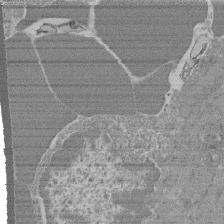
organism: Mouse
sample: Glomerulus